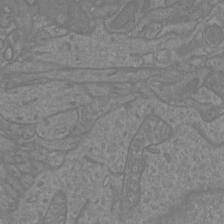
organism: Mouse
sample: Cortical neurons